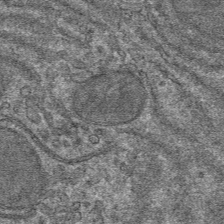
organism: Mouse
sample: Mouse hepatocytes